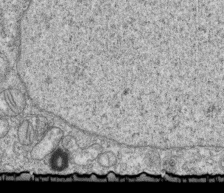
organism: Human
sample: HeLa cell HIV synapse